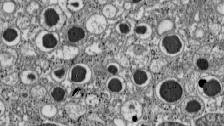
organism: C57BL Mouse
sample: Pancreatic islet